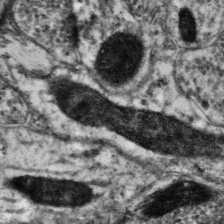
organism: Mouse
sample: Neocortex